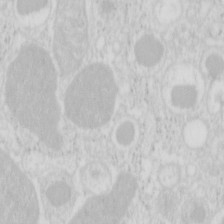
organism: Mouse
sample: Pancreas